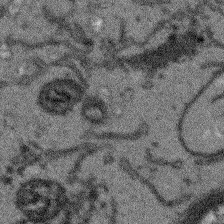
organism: Arabidopsis thaliana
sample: Root tip